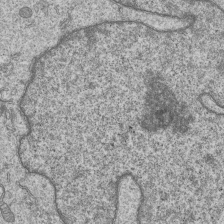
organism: Human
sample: MDA-MB-231 cells